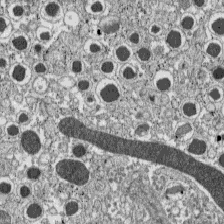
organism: C57BL Mouse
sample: Pancreatic islet